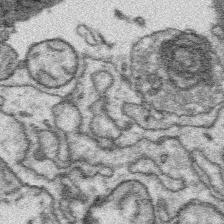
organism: Platynereis dumerilii